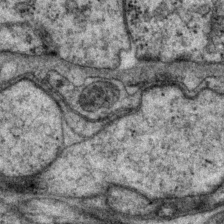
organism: P. pacificus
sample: Pharynx